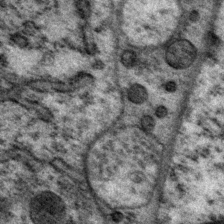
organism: P. pacificus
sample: Pharynx